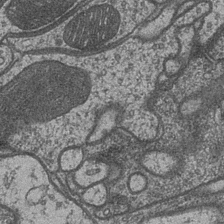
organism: Drosophila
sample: Optic medulla